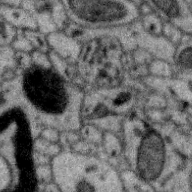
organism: Zebra finch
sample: Brain